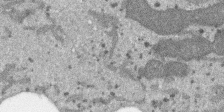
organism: Human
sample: Lung epithelial cells infected with SARS-CoV-2